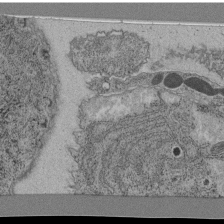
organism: C. elegans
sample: C. elegans pharynx